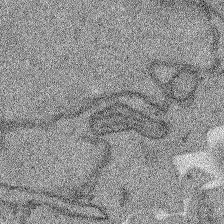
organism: Human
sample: HeLa cells